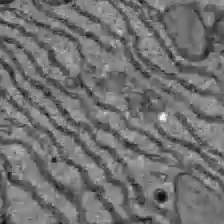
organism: C57BL Mouse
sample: Liver